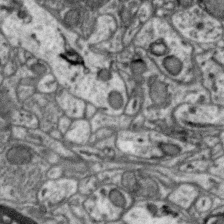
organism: Zebra finch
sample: Brain